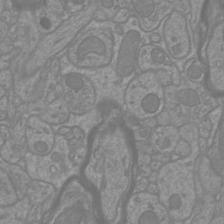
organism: Mouse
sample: Cortical neurons